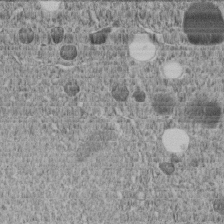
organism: C. elegans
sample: C. elegans embryo early stage